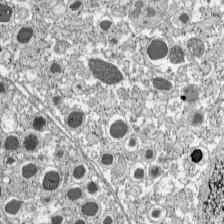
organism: C57BL Mouse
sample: Pancreatic islet